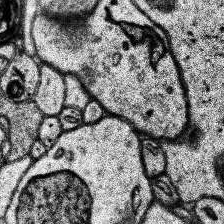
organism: Human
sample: Temporal Lobe